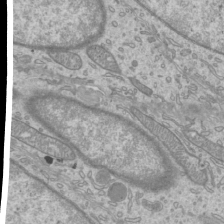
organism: Mouse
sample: Cilia; mouse epididymis